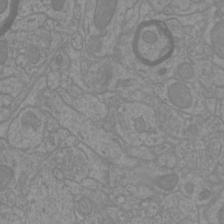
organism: Mouse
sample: Cortical neurons